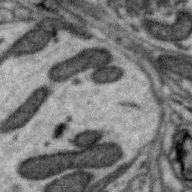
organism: Zebra finch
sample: Brain